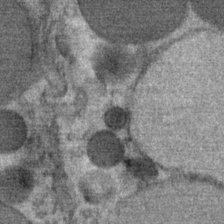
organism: Mouse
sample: Mouse Salivary gland